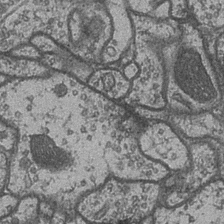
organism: Drosophila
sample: Optic medulla